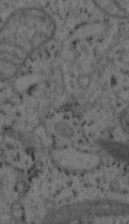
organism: Human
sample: HeLa cells